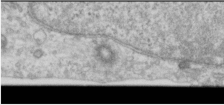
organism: Human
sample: Cilia; basal body in RPE cells